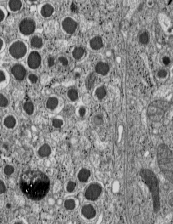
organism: C57BL Mouse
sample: Pancreatic islet